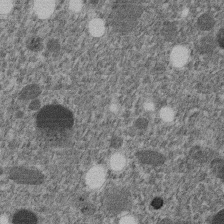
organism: C. elegans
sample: C. elegans embryo early stage